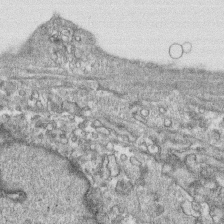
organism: Human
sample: CRL-1474